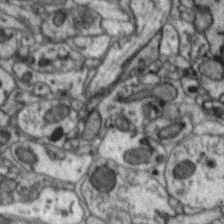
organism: Zebra finch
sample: Brain